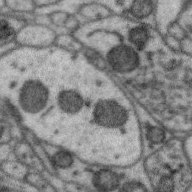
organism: Zebra finch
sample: Brain